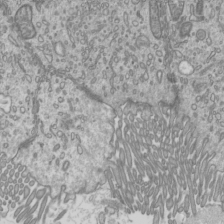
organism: Mouse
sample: Cilia; mouse epididymis